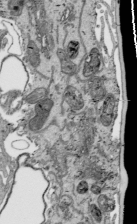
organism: Human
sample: Mitochondria in HCT116 cells